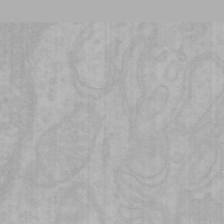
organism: Mouse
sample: Choroid plexus